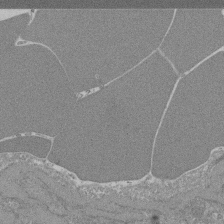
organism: Mouse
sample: Glomerulus